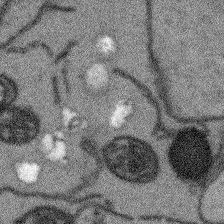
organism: Arabidopsis thaliana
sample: Root tip